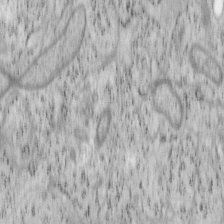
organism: Human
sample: HeLa cells